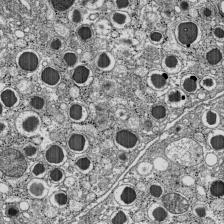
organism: C57BL Mouse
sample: Pancreatic islet